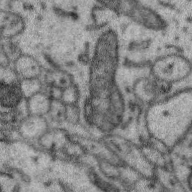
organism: Zebra finch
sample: Brain